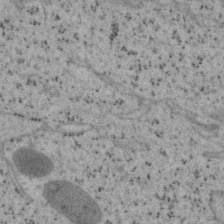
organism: Human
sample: HeLa cells